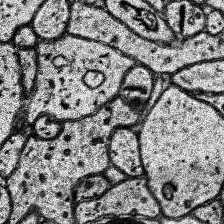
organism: Human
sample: Temporal Lobe